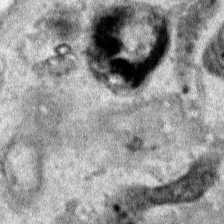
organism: Human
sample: Mitochondria in HCT116 cells